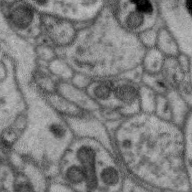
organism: Zebra finch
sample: Brain